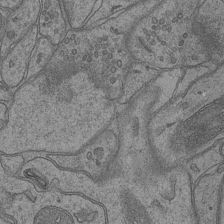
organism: Mouse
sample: CA1 Hippocampus